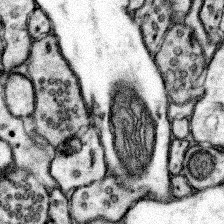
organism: Mouse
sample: Somatosensory cortex neuropil